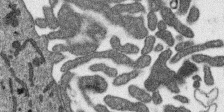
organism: Human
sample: Lung epithelial cells infected with SARS-CoV-2